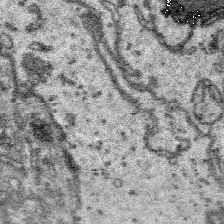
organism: Platynereis dumerilii